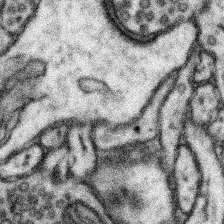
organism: Mouse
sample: Somatosensory cortex neuropil